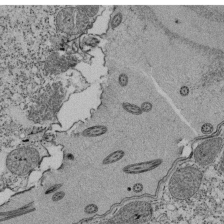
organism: Tetrahymena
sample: Cilia in tetrahymena